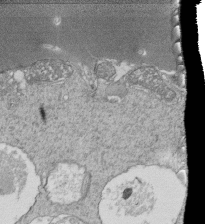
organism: Tetrahymena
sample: Cilia in tetrahymena